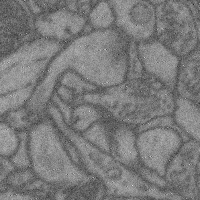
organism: Mouse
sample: Cerebral cortex